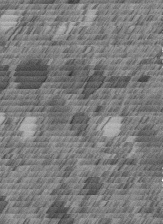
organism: C. elegans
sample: C. elegans embryo early stage